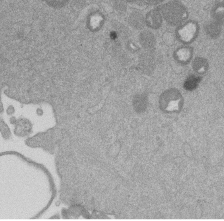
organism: Mouse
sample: Dividing mouse embryo 1 cell stage